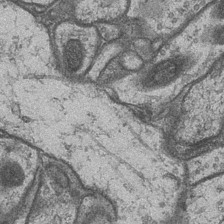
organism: Drosophila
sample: Optic medulla